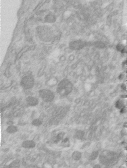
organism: Human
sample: Centriole in RPE cells